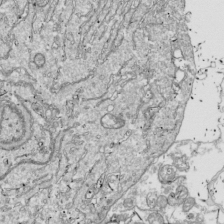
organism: Drosophila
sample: Cell division; meiosis; drosophila spermatocytes